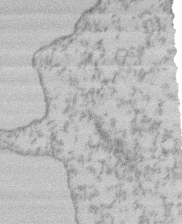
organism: Mouse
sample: T cell stromal cell synapse